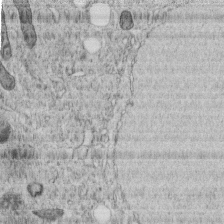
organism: C. elegans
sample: C. elegans embryo early stage